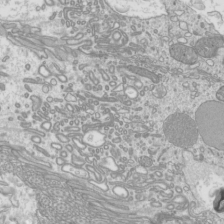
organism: Mouse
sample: Cilia; mouse epididymis